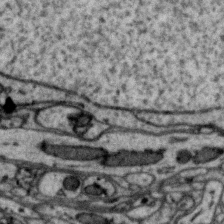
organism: Zebra finch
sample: Brain